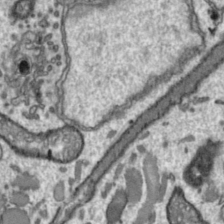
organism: Toxoplasma gondii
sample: Parasites in a vacuole inside a host cell